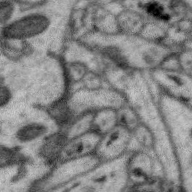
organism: Zebra finch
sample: Brain